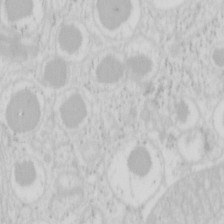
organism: Mouse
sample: Pancreas